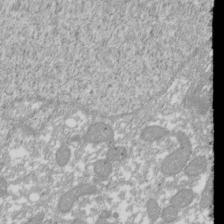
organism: Xenopus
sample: Cilia; centrioles in frog embryo cells